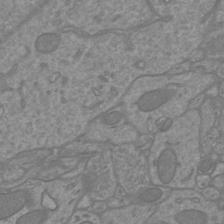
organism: Mouse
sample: Cortical neurons